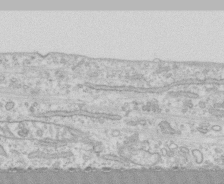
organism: Human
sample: CRL-1474